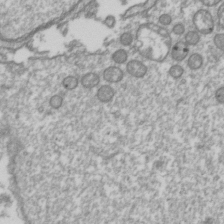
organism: Drosophila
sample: Cell division; meiosis; drosophila spermatocytes